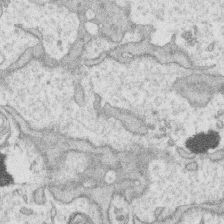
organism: Human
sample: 1205lu cells